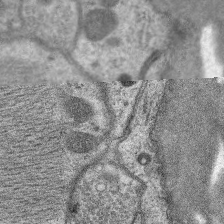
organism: C. elegans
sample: Pharynx